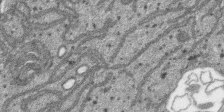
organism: Human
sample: Lung epithelial cells infected with SARS-CoV-2